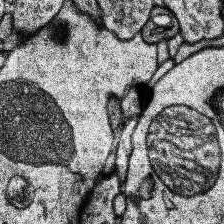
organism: Human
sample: Temporal Lobe